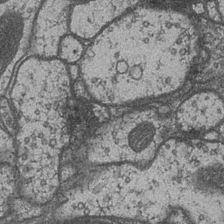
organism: Drosophila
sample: Optic medulla